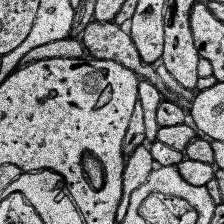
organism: Human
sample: Temporal Lobe